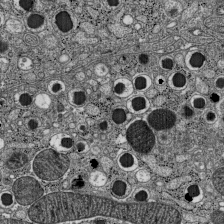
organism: C57BL Mouse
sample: Pancreatic islet